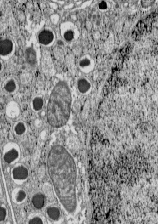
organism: C57BL Mouse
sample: Pancreatic islet